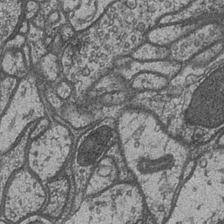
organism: Drosophila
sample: Optic medulla